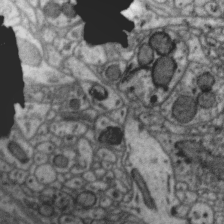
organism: Zebra finch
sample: Brain